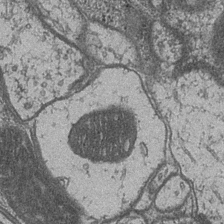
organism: Drosophila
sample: Optic medulla